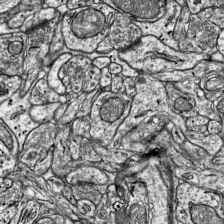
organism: Mouse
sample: Visual Cortex